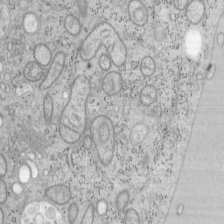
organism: Mouse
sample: OT-I killer T cells with ID8 ovarian cancer cells